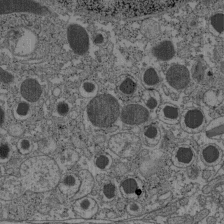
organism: C57BL Mouse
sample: Pancreatic islet